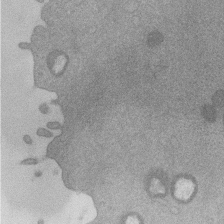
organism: Mouse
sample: Dividing mouse embryo 1 cell stage